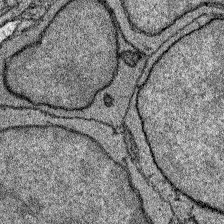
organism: Zebrafish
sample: Larval olfactory bulb